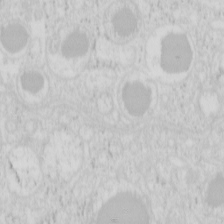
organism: Mouse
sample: Pancreas